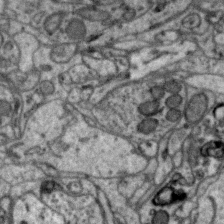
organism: Zebra finch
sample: Brain